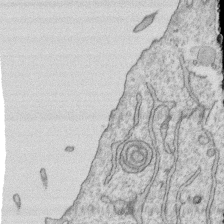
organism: Human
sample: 1205lu cells